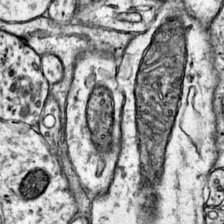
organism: Mouse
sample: Primary visual cortex